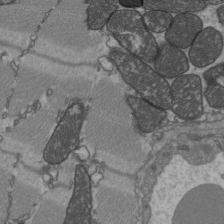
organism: C57BL Mouse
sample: Heart